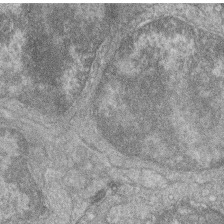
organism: Zebrafish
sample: Cilia; retinal pigment epithelium